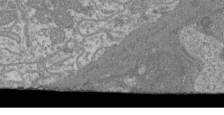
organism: Mouse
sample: Glomerulus